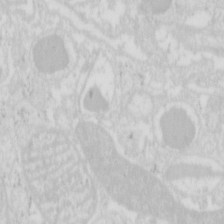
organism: Mouse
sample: Pancreas